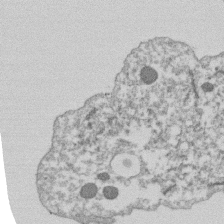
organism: Dictyostelium discoideum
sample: Dictyostelium multivesicular bodies